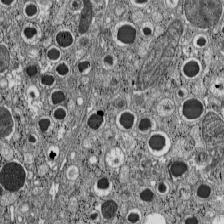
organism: C57BL Mouse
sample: Pancreatic islet